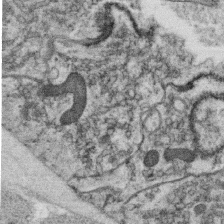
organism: C. elegans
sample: C. elegans oocyte; sperm cells